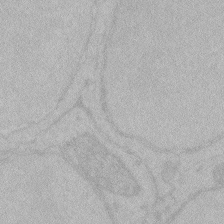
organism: Zebrafish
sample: Macrophage infected with Toxoplasma gondii